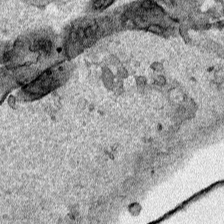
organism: Human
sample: Mitochondria in HCT116 cells